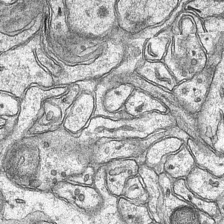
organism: Mouse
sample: CA1 Hippocampus